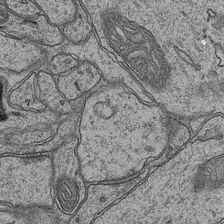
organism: Mouse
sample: CA1 Hippocampus